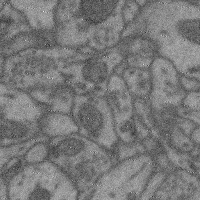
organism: Mouse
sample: Cerebral cortex